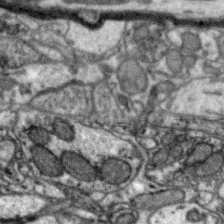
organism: Zebra finch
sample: Brain